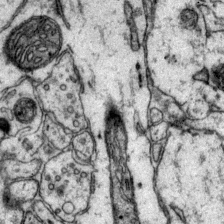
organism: Mouse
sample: Primary visual cortex